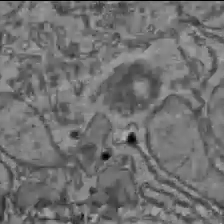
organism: C57BL Mouse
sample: Liver